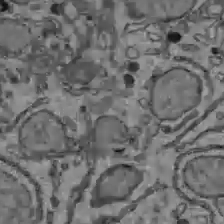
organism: C57BL Mouse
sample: Liver